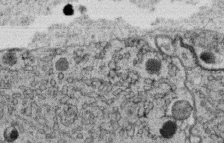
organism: C. elegans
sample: C. elegans oocyte; sperm cells